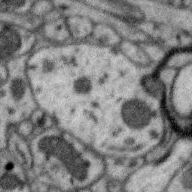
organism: Zebra finch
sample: Brain